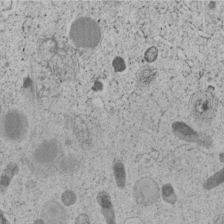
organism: C. elegans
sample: C. elegans embryo early stage